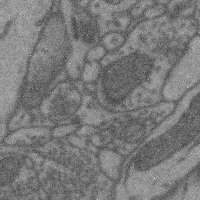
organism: Mouse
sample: Cerebral cortex